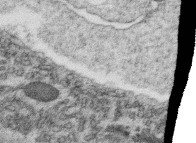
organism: C. elegans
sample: C. elegans oocyte; sperm cells